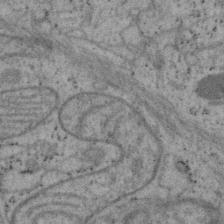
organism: Human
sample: HeLa cells